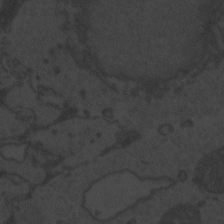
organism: Zebrafish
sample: Macrophage infected with Toxoplasma gondii